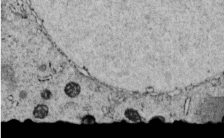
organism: C. elegans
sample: C. elegans embryo early stage